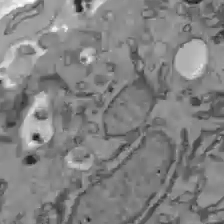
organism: C57BL Mouse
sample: Liver